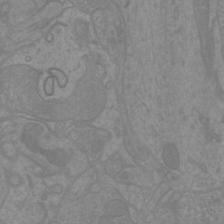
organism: Mouse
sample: Cortical neurons